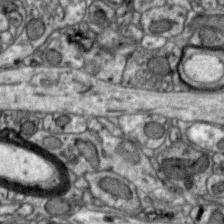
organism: Zebra finch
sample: Brain